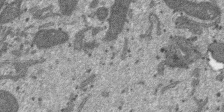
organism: Human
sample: Lung epithelial cells infected with SARS-CoV-2